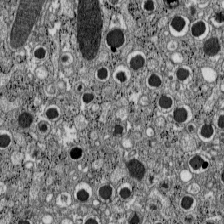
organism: C57BL Mouse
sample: Pancreatic islet